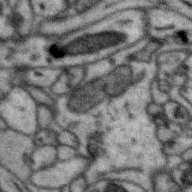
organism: Zebra finch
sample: Brain